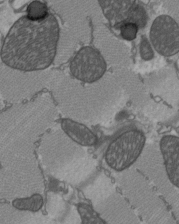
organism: C57BL Mouse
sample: Heart